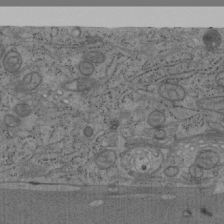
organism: Human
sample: HeLa cells